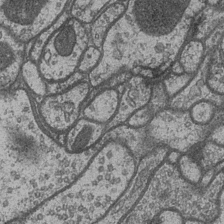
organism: Drosophila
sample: Optic medulla